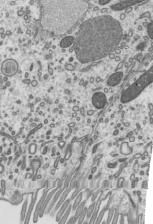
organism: Mouse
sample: Mouse epididymis efferent ductule cilia